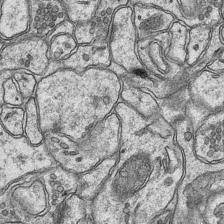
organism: Mouse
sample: CA1 Hippocampus